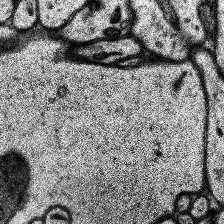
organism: Human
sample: Temporal Lobe